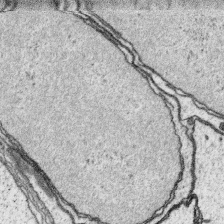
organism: Platynereis dumerilii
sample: Parapodia